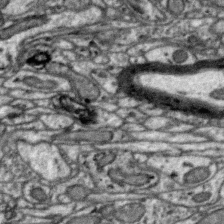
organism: Zebra finch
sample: Brain